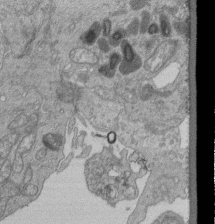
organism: Human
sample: Retinal organoid Rod and Cone cells